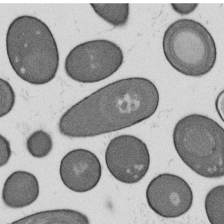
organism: B. subtilis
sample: Bacterial spore